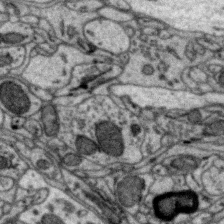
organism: Zebra finch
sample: Brain